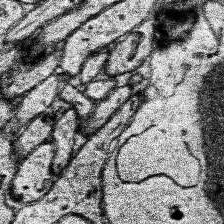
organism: Human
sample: Temporal Lobe